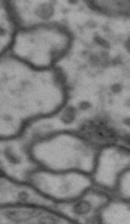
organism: Drosophila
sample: Brain